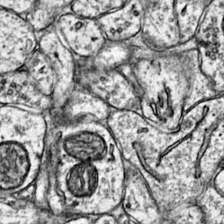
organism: Mouse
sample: Primary visual cortex